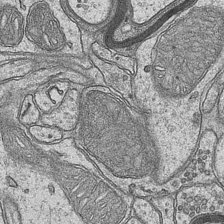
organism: Mouse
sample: CA1 Hippocampus